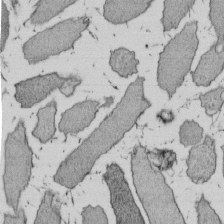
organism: E. coli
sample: Bacterial nucleoid